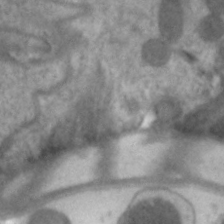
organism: C. elegans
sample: Pharynx